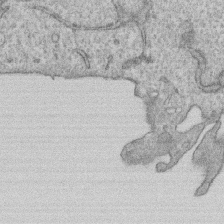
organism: Human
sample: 1205lu cells